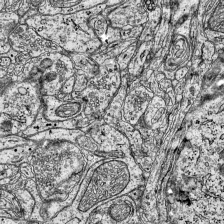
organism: Mouse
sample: Visual Cortex